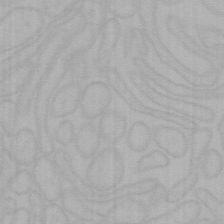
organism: Mouse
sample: Choroid plexus